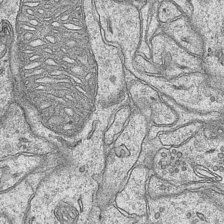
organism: Mouse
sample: CA1 Hippocampus